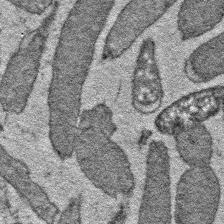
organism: E. coli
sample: E. Coli Bacteria